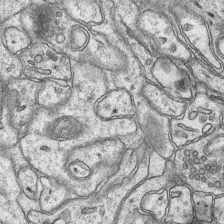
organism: Mouse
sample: CA1 Hippocampus